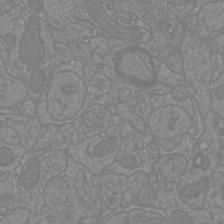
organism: Mouse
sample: Cortical neurons